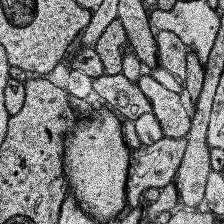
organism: Human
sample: Temporal Lobe